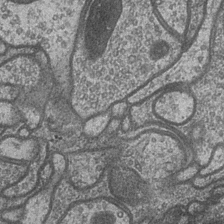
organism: Drosophila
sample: Optic medulla